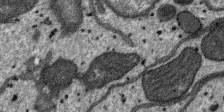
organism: Human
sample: Lung epithelial cells, uninfected (mock) control